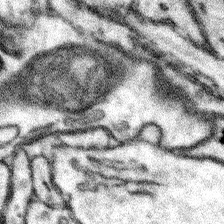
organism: Mouse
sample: Somatosensory cortex neuropil